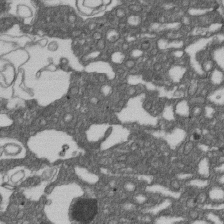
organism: Drosophila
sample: Nephrocyte